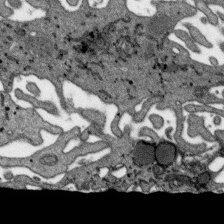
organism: Human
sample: Lung epithelial cells, uninfected (mock) control